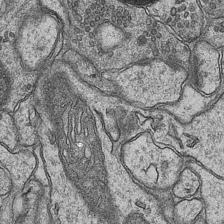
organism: Mouse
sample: CA1 Hippocampus